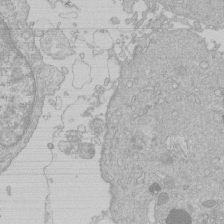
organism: Human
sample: Macrophage cells